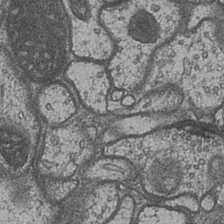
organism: Drosophila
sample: Optic medulla